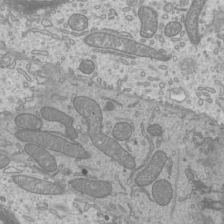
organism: Mouse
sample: Cilia; mouse epididymis